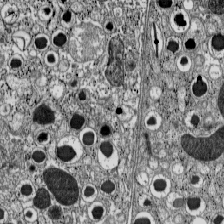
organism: C57BL Mouse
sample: Pancreatic islet